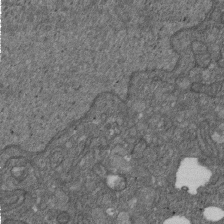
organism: Drosophila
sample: Nephrocyte